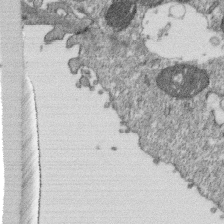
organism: African green monkey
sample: Vero E6 cells infected with SARS-CoV-2